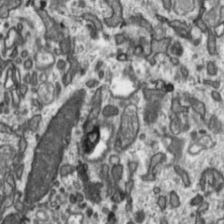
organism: Toxoplasma gondii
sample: Parasites in a vacuole inside a host cell